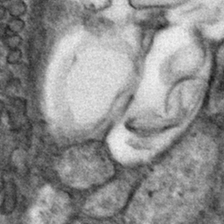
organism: Mouse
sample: Mouse hepatocytes